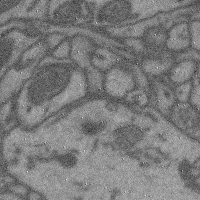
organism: Mouse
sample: Cerebral cortex